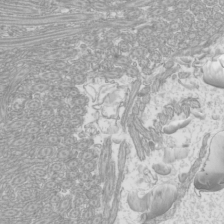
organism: Mouse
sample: Cilia; mouse epididymis